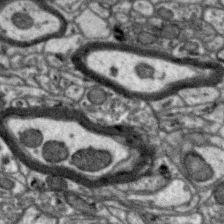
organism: Zebra finch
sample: Brain